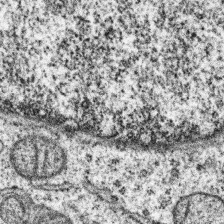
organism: Human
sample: HeLa cells